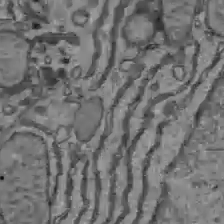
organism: C57BL Mouse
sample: Liver